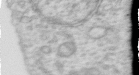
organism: Human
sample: Centriole in RPE cells